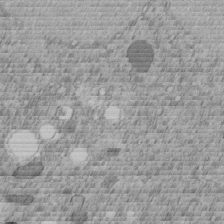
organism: C. elegans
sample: C. elegans embryo early stage